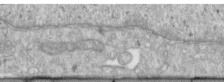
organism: Human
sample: Centriole in RPE cells